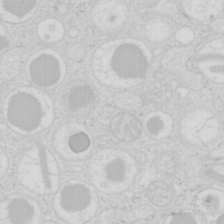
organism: Mouse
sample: Pancreas